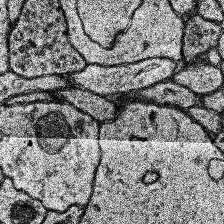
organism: Human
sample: Temporal Lobe